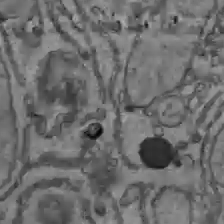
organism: C57BL Mouse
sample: Liver